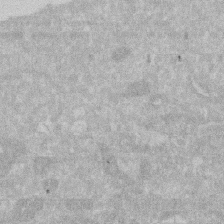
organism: Human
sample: HIV infected U937 cells